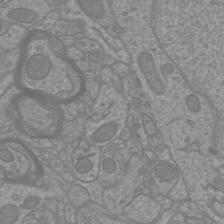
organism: Mouse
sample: Cortical neurons